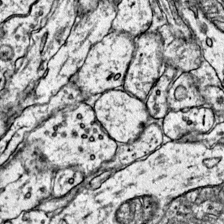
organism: Mouse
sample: Primary visual cortex